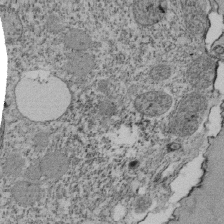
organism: Tetrahymena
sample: Cilia in tetrahymena